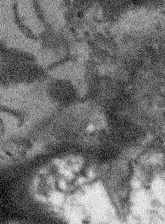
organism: Arabidopsis thaliana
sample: Root tip